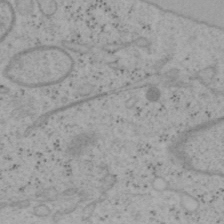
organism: Human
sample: HeLa cells